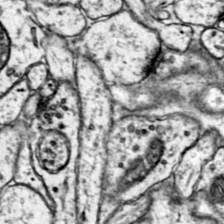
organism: Mouse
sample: Primary visual cortex